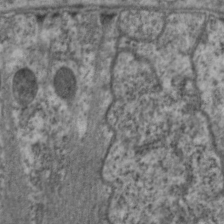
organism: C. elegans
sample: Pharynx